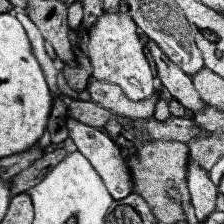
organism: Human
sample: Temporal Lobe